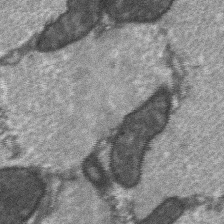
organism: C57BL Mouse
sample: Soleus